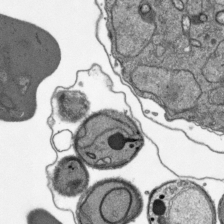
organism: Plasmodium falciparum